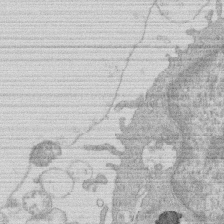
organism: Human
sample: Macrophage cells